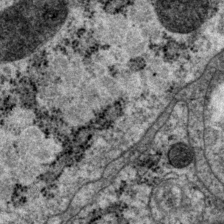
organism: P. pacificus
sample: Pharynx